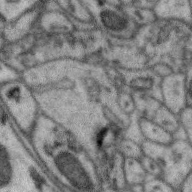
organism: Zebra finch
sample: Brain